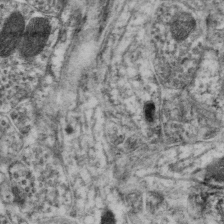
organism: Mouse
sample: Neocortex